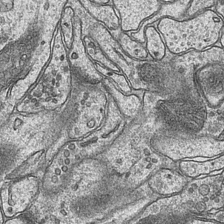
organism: Mouse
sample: CA1 Hippocampus